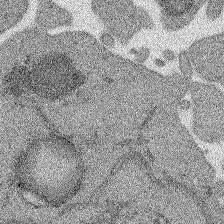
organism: Human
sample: HeLa cells